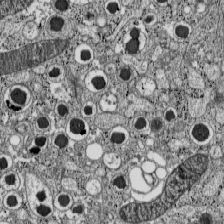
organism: C57BL Mouse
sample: Pancreatic islet